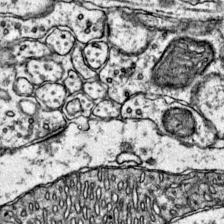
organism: Mouse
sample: Primary visual cortex